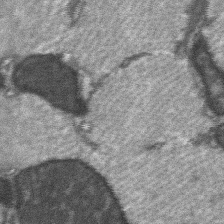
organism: C57BL Mouse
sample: Soleus